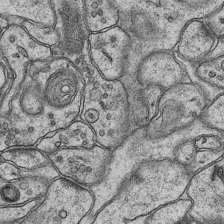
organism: Mouse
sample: CA1 Hippocampus